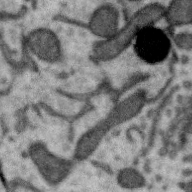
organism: Zebra finch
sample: Brain